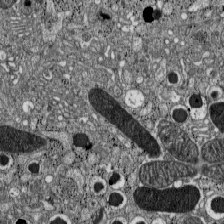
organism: C57BL Mouse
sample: Pancreatic islet